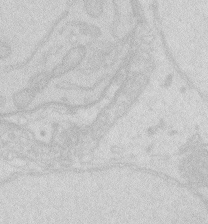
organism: Zebrafish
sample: Macrophage